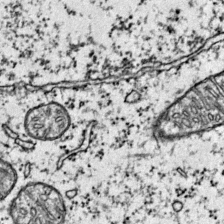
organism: Mouse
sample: Primary visual cortex